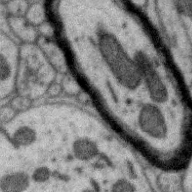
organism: Zebra finch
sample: Brain